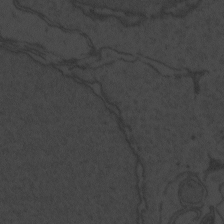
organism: Zebrafish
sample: Macrophage infected with Toxoplasma gondii